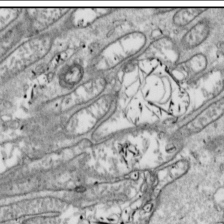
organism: Drosophila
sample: Cell division; meiosis; drosophila spermatocytes